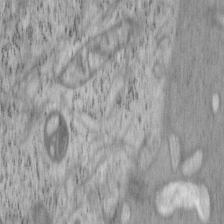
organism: Human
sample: HeLa cells